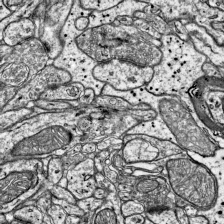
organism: Mouse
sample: Visual Cortex